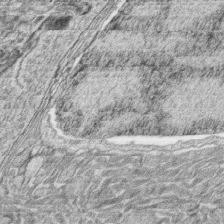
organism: Zebrafish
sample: synaptic ribbons in rod cells and cone cells